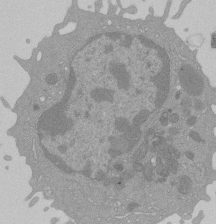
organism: Mouse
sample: Activated Pmel transgenic CD8+ T Cells